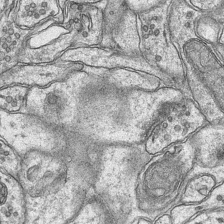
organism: Mouse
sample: CA1 Hippocampus